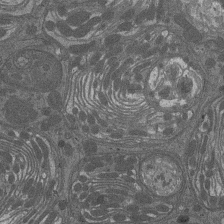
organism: Drosophila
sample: Antenna